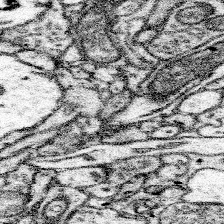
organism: Mouse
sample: Somatosensory cortex neuropil